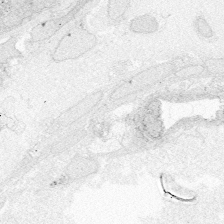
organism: Zebrafish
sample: Whole-Brain